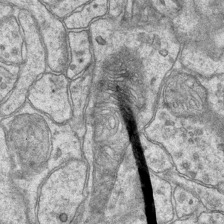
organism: Mouse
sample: CA1 Hippocampus